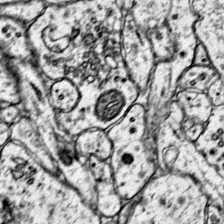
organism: Mouse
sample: Primary visual cortex